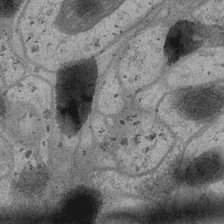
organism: Drosophila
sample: Optic medulla